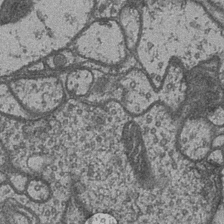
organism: Drosophila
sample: Optic medulla